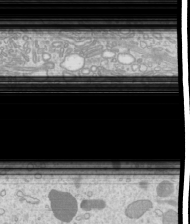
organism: Mouse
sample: Cilia; mouse epididymis